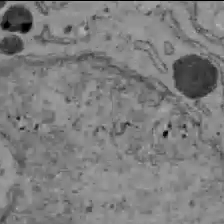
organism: C57BL Mouse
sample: Liver